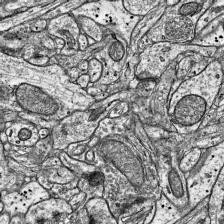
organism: Mouse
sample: Visual Cortex